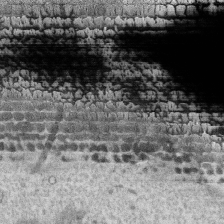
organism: Human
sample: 1205lu cells